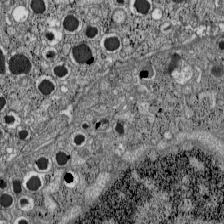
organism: C57BL Mouse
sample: Pancreatic islet